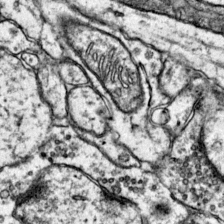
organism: Mouse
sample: Primary visual cortex